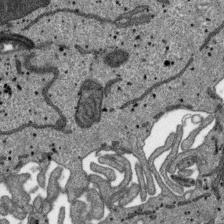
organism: Human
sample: Lung epithelial cells, uninfected (mock) control